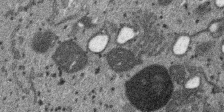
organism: Human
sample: Lung epithelial cells infected with SARS-CoV-2